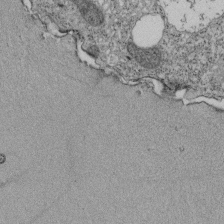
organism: Tetrahymena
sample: Cilia in tetrahymena